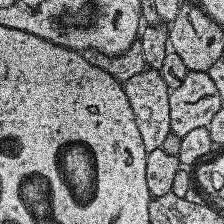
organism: Human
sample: Temporal Lobe